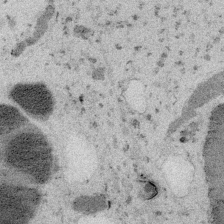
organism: Embia sp.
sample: Silk gland